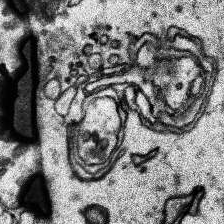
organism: Human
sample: Temporal Lobe